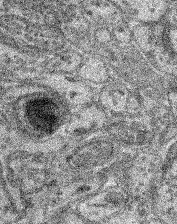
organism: Mouse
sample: Retina